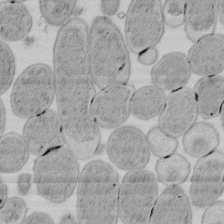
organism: E. coli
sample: Bacterial nucleoid